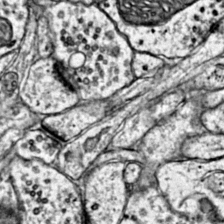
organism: Mouse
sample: Primary visual cortex